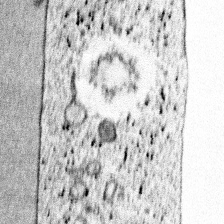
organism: Human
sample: HeLa cells